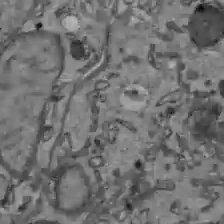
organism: C57BL Mouse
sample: Liver